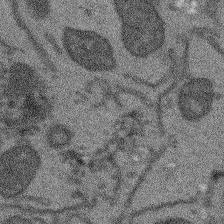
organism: Arabidopsis thaliana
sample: Root tip